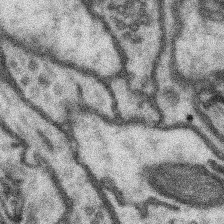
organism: Mouse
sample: Somatosensory cortex neuropil